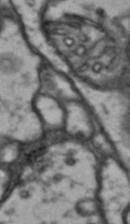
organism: Drosophila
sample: Brain